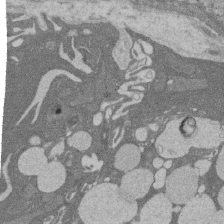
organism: Rat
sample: Salivary granule